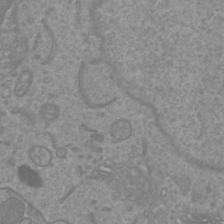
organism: Mouse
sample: Cortical neurons